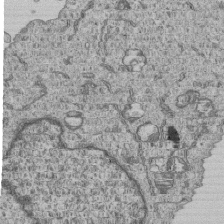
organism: Human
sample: MDA-MB-231 cells